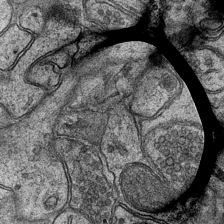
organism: Mouse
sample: CA1 Hippocampus